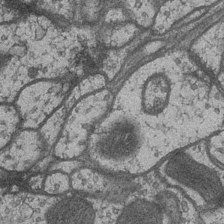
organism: Drosophila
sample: Optic medulla